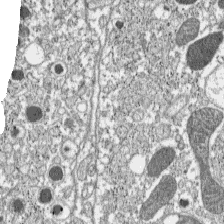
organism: C57BL Mouse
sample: Pancreatic islet